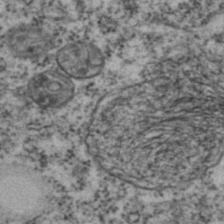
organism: C. elegans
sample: C. elegans embryo